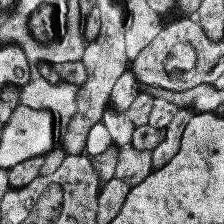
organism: Human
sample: Temporal Lobe